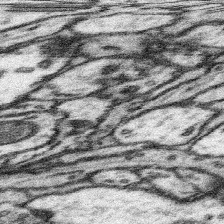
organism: Mouse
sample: Somatosensory cortex neuropil